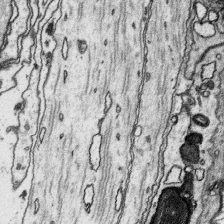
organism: Platynereis dumerilii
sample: Parapodia